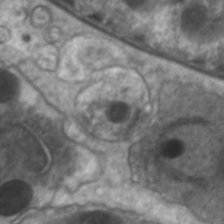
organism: C. elegans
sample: Pharynx